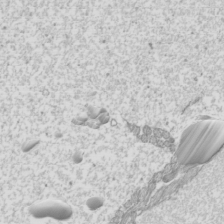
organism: Mouse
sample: Cilia; mouse epididymis